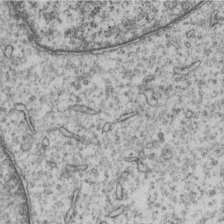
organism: Human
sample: MDA-MB-231 cells